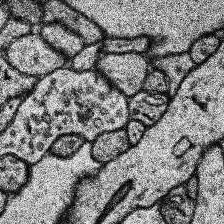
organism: Human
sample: Temporal Lobe